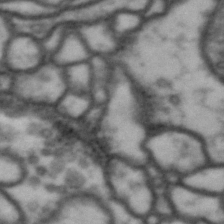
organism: Drosophila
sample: Brain